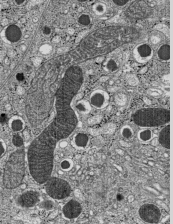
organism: C57BL Mouse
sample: Pancreatic islet